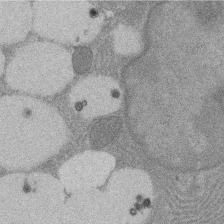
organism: Rat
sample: Salivary granule